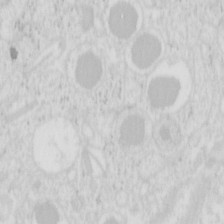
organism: Mouse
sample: Pancreas